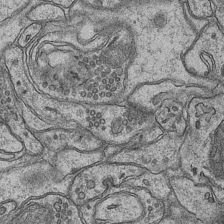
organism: Mouse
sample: CA1 Hippocampus